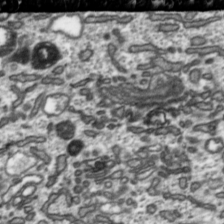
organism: Toxoplasma gondii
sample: Parasites in a vacuole inside a host cell